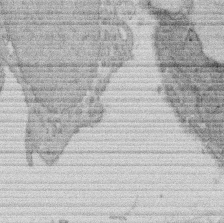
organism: Rat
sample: Salivary granule